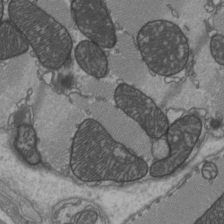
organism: C57BL Mouse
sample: Heart